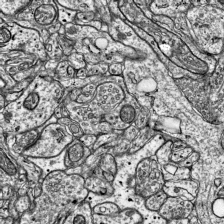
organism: Mouse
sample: Visual Cortex